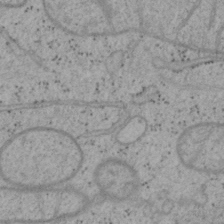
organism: Human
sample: HeLa cells